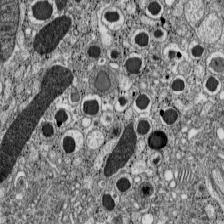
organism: C57BL Mouse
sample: Pancreatic islet